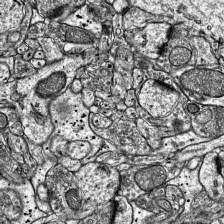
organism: Mouse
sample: Visual Cortex